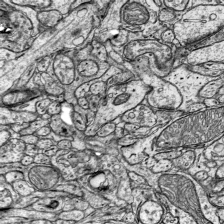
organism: Mouse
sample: Visual Cortex